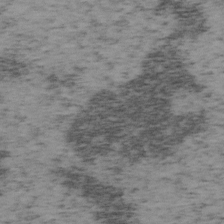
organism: Mouse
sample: OT-I killer T cells with ID8 ovarian cancer cells